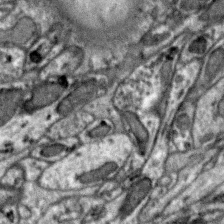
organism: Zebra finch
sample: Brain